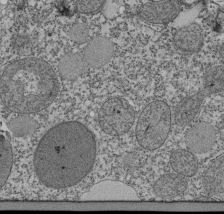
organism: Tetrahymena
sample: Cilia in tetrahymena